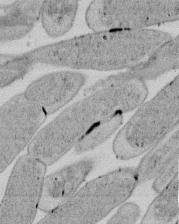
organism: E. coli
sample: Bacterial nucleoid